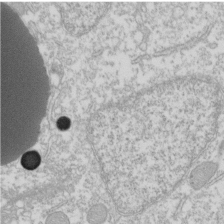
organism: Xenopus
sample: Cilia; centrioles in frog embryo cells